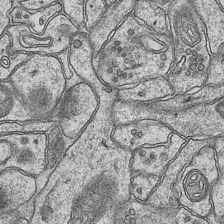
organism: Mouse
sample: CA1 Hippocampus